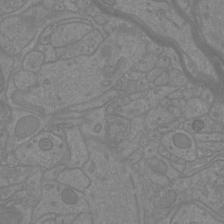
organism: Mouse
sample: Cortical neurons